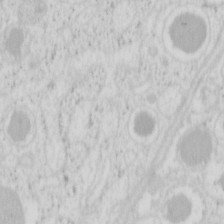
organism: Mouse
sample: Pancreas